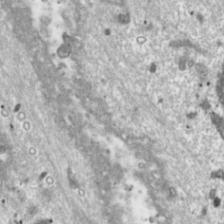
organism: Toxoplasma gondii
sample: Parasites in a vacuole inside a host cell